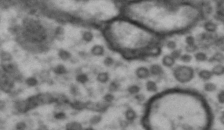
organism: Drosophila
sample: Brain